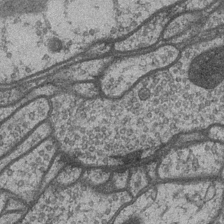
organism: Drosophila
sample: Optic medulla